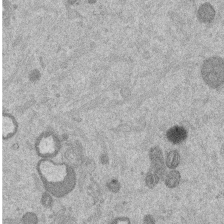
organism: Mouse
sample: Dividing mouse embryo 1 cell stage